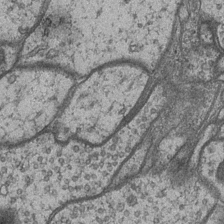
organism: Drosophila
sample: Optic medulla